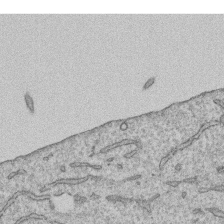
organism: Human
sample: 1205lu cells